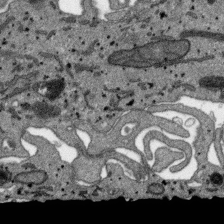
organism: Human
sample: Lung epithelial cells, uninfected (mock) control